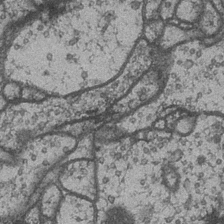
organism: Drosophila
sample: Optic medulla